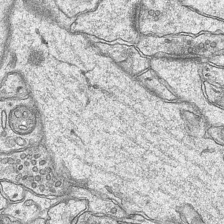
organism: Mouse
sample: CA1 Hippocampus